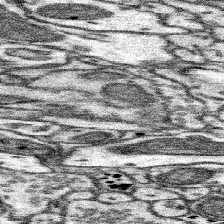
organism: Mouse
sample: Somatosensory cortex neuropil